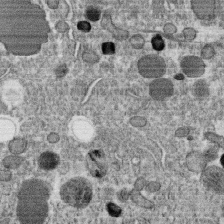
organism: C. elegans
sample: C. elegans oocyte; sperm cells